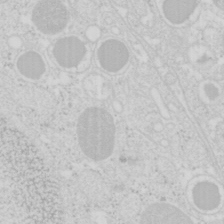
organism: Mouse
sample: Pancreas